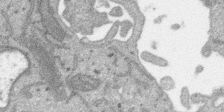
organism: Human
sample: Lung epithelial cells infected with SARS-CoV-2